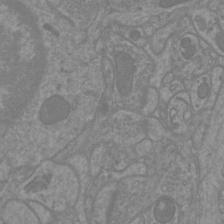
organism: Mouse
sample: Cortical neurons